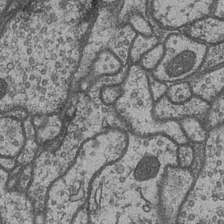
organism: Drosophila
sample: Optic medulla